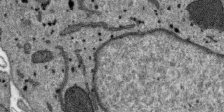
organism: Human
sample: Lung epithelial cells, uninfected (mock) control